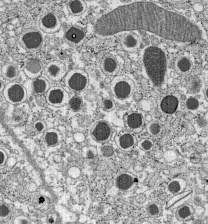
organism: C57BL Mouse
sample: Pancreatic islet